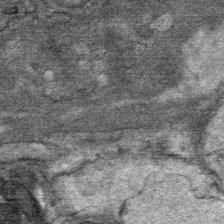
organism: Mouse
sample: Mouse Salivary gland